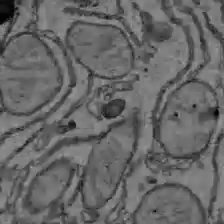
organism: C57BL Mouse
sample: Liver